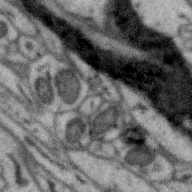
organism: Zebra finch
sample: Brain